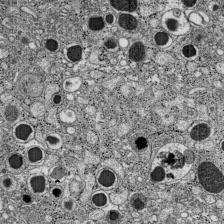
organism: C57BL Mouse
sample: Pancreatic islet